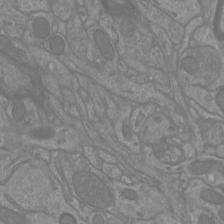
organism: Mouse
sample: Cortical neurons